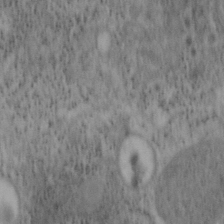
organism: Mouse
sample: OT-I killer T cells with ID8 ovarian cancer cells